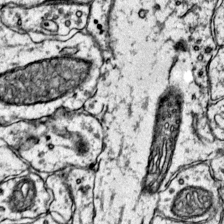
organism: Mouse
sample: Primary visual cortex